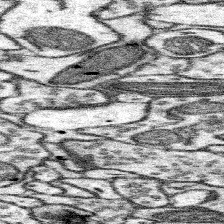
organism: Mouse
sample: Somatosensory cortex neuropil